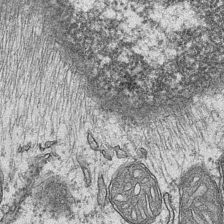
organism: Mouse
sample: CA1 Hippocampus